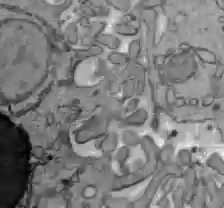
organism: C57BL Mouse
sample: Liver